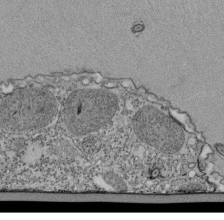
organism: Tetrahymena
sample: Cilia in tetrahymena